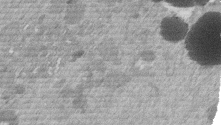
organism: Mouse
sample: Dividing mouse embryo 1 cell stage